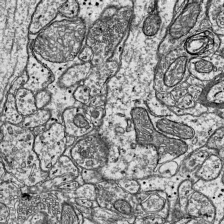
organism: Mouse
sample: Visual Cortex